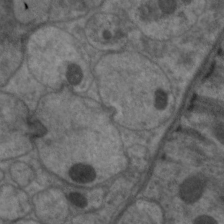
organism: C. elegans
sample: Pharynx